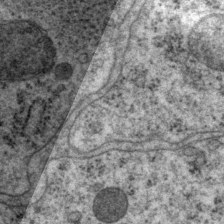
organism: P. pacificus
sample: Pharynx